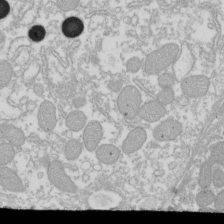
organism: Xenopus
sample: Cilia; centrioles in frog embryo cells